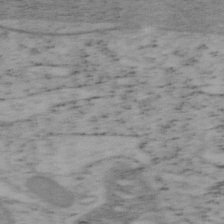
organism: Mouse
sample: OT-I killer T cells with ID8 ovarian cancer cells